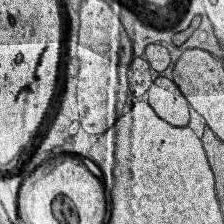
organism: Human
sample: Temporal Lobe